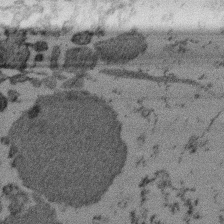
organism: Mouse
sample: Dividing mouse embryo 1 cell stage